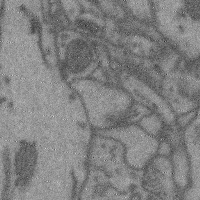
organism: Mouse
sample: Cerebral cortex